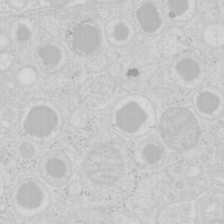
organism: Mouse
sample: Pancreas